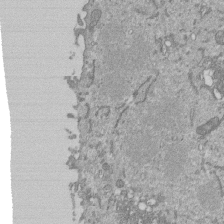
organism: Mouse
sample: ED-1 cell nuclei; centrioles